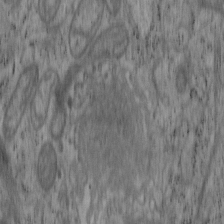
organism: Human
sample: HeLa cells